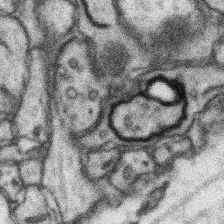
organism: Mouse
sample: Somatosensory cortex neuropil